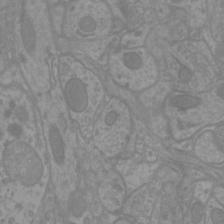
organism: Mouse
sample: Cortical neurons